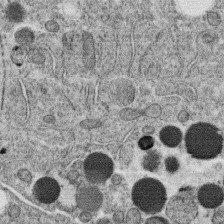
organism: C. elegans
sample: C. elegans oocyte; sperm cells